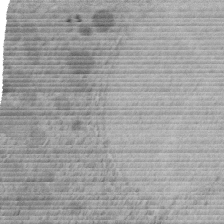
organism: C. elegans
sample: C. elegans embryo early stage